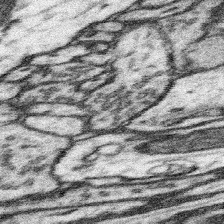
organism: Mouse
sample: Somatosensory cortex neuropil